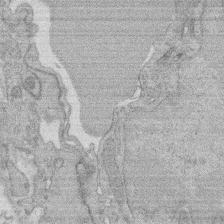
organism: Rat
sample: Salivary granule